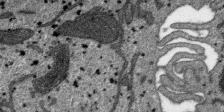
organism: Human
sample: Lung epithelial cells, uninfected (mock) control